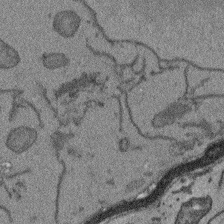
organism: Arabidopsis thaliana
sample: Root tip